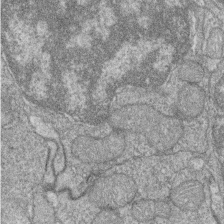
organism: Zebrafish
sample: Cilia; retinal pigment epithelium